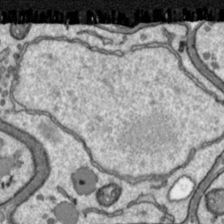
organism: Toxoplasma gondii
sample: Parasites in a vacuole inside a host cell